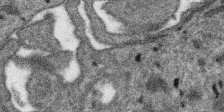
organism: Human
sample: Lung epithelial cells infected with SARS-CoV-2